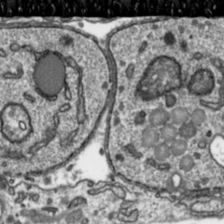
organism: Toxoplasma gondii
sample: Parasites in a vacuole inside a host cell